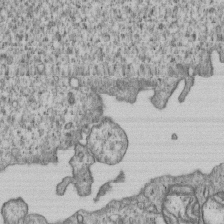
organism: Human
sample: MDA-MB-231 cells